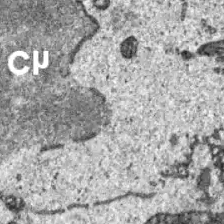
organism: Human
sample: HeLa cells